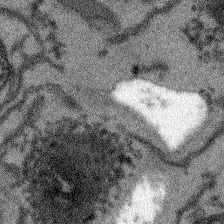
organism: Arabidopsis thaliana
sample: Root tip